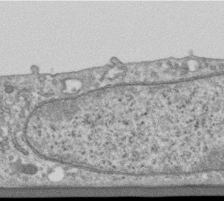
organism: Human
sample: Centriole in RPE cells